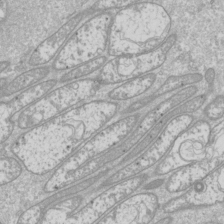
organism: Drosophila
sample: Cell division; meiosis; drosophila spermatocytes